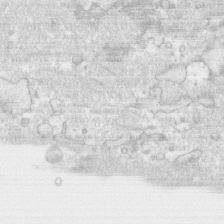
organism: Human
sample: CRL-1474